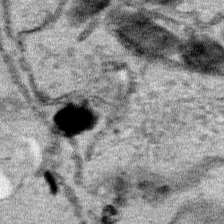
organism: Human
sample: Mitochondria in HCT116 cells